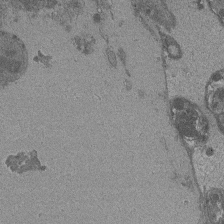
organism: Drosophila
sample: Antenna